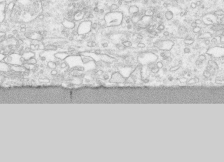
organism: Human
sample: CRL-1474